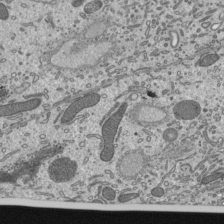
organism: Mouse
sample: Mouse epididymis efferent ductule cilia